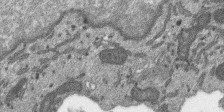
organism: Human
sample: Lung epithelial cells infected with SARS-CoV-2